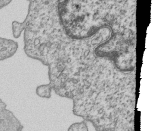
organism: Human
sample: MDA-MB-231 cells